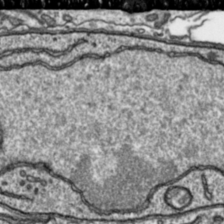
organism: Toxoplasma gondii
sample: Parasites in a vacuole inside a host cell